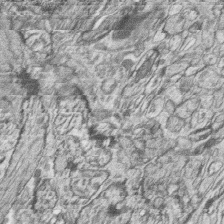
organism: Zebrafish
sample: synaptic ribbons in rod cells and cone cells